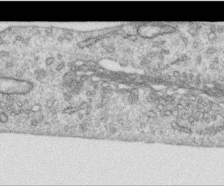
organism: Human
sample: Centriole in RPE cells